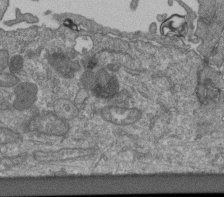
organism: Human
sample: Retinal organoid Rod and Cone cells